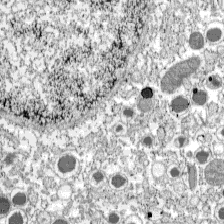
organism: C57BL Mouse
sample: Pancreatic islet